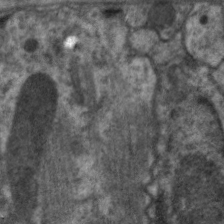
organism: C. elegans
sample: Pharynx